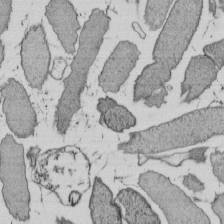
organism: E. coli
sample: Bacterial nucleoid